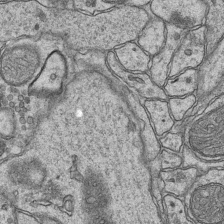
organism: Mouse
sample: CA1 Hippocampus